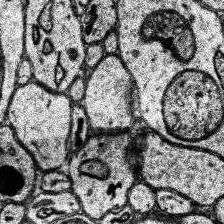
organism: Human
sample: Temporal Lobe